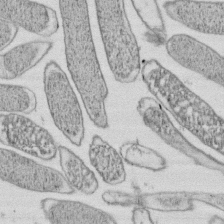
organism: E. coli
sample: Bacterial nucleoid